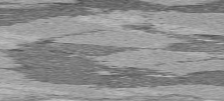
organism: C57BL Mouse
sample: Heart